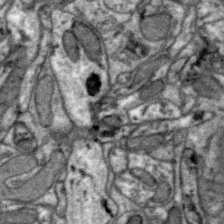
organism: Zebra finch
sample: Brain